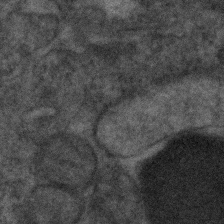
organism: Human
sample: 1205lu cells